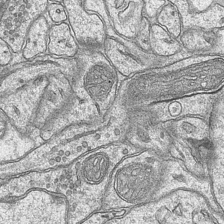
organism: Mouse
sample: CA1 Hippocampus